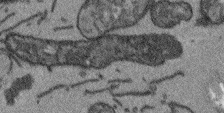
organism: Arabidopsis thaliana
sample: Root tip